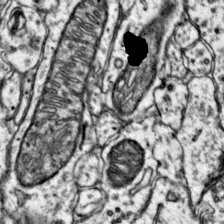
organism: Mouse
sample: Primary visual cortex